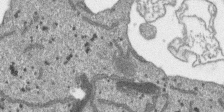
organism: Human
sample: Lung epithelial cells infected with SARS-CoV-2